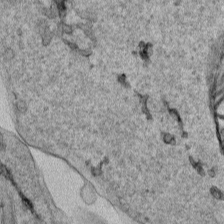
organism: Human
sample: Mitochondria in HCT116 cells